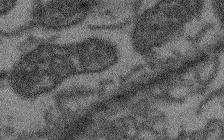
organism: Arabidopsis thaliana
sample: Root tip